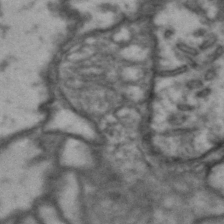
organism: Drosophila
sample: Brain